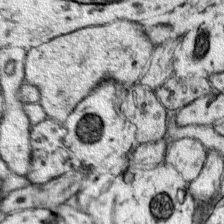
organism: Mouse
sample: Primary visual cortex